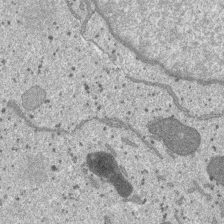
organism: Human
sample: Lung epithelial cells infected with SARS-CoV-2